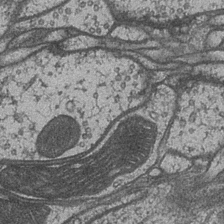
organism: Drosophila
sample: Optic medulla